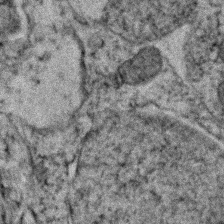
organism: Zebrafish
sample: Zebrafish embryo